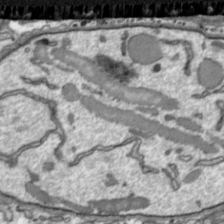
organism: Toxoplasma gondii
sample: Parasites in a vacuole inside a host cell